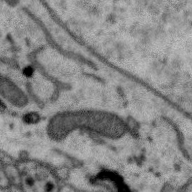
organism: Zebra finch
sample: Brain